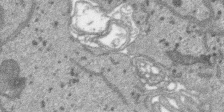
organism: Human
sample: Lung epithelial cells infected with SARS-CoV-2